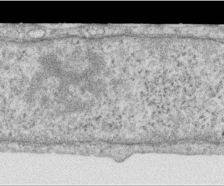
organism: Human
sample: Centriole in RPE cells